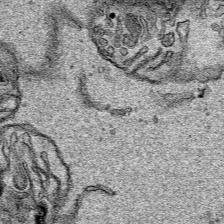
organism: Human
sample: Mitochondria in HCT116 cells